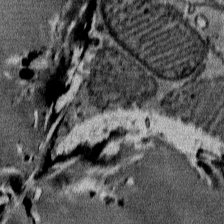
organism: Mouse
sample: Mouse Salivary gland